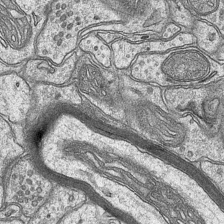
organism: Mouse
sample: CA1 Hippocampus